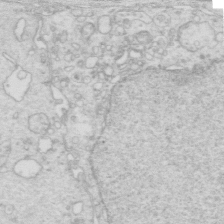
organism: Mouse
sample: Multiciliated cells